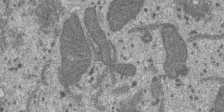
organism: Human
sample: Lung epithelial cells infected with SARS-CoV-2